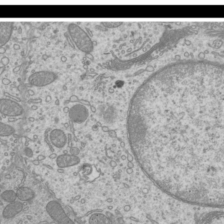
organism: Mouse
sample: Cilia; mouse epididymis